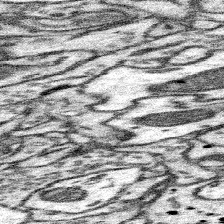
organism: Mouse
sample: Somatosensory cortex neuropil